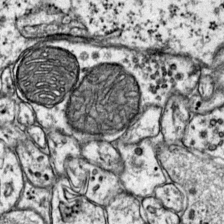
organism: Mouse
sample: Primary visual cortex